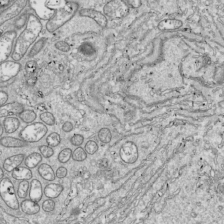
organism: Drosophila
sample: Cell division; meiosis; drosophila spermatocytes